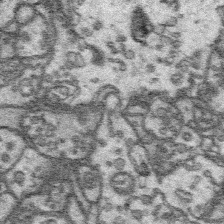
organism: Platynereis dumerilii